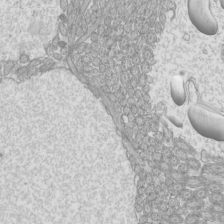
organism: Mouse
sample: Cilia; mouse epididymis